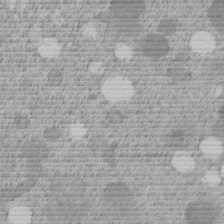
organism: C. elegans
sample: C. elegans embryo early stage